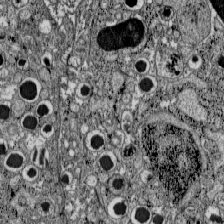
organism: C57BL Mouse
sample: Pancreatic islet